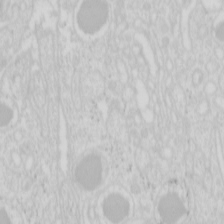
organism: Mouse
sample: Pancreas